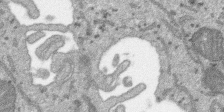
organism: Human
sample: Lung epithelial cells infected with SARS-CoV-2